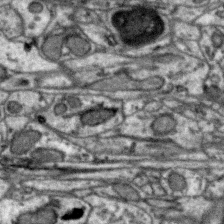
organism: Zebra finch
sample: Brain